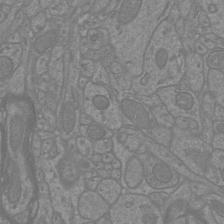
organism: Mouse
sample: Cortical neurons